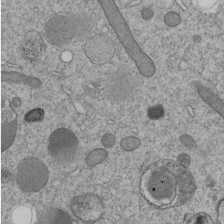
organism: C. elegans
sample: C. elegans embryo early stage